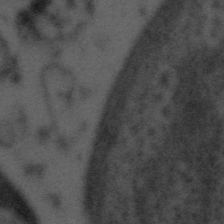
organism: Tuwongella immobilis